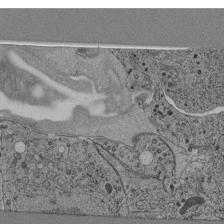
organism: C. elegans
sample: C. elegans pharynx